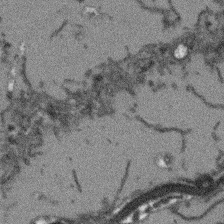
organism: Arabidopsis thaliana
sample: Root tip